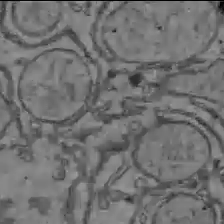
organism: C57BL Mouse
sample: Liver